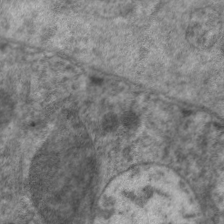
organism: C. elegans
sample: Pharynx